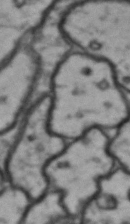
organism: Drosophila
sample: Brain